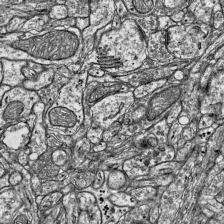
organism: Mouse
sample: Visual Cortex